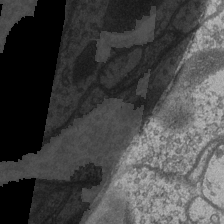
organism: Drosophila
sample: Optic medulla